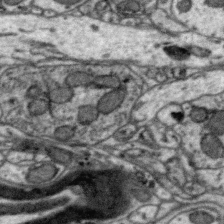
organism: Zebra finch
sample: Brain